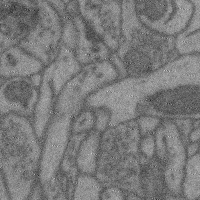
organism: Mouse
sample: Cerebral cortex